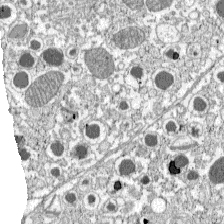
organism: C57BL Mouse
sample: Pancreatic islet